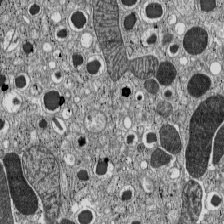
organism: C57BL Mouse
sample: Pancreatic islet